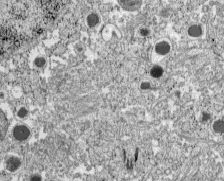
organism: C57BL Mouse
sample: Pancreatic islet